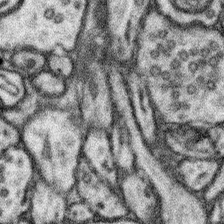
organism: Mouse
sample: Somatosensory cortex neuropil